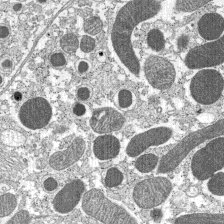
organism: C57BL Mouse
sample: Pancreatic islet